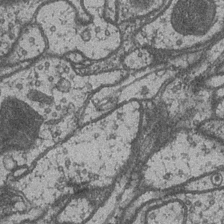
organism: Drosophila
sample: Optic medulla